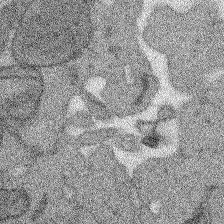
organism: Human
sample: HeLa cells